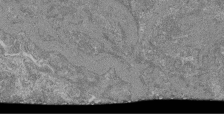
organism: Mouse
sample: Glomerulus